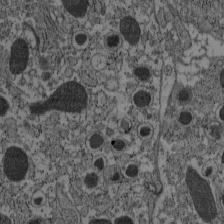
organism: C57BL Mouse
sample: Pancreatic islet